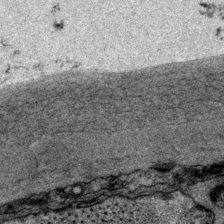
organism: P. pacificus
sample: Pharynx